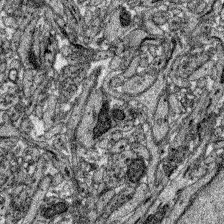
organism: Zebrafish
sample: Larval olfactory bulb